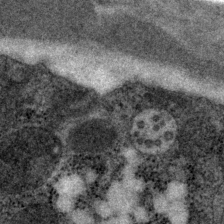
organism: P. pacificus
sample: Pharynx